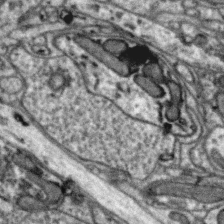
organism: Zebra finch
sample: Brain